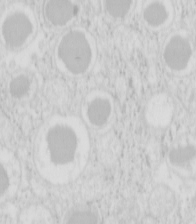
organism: Mouse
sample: Pancreas